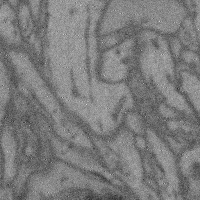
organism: Mouse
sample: Cerebral cortex